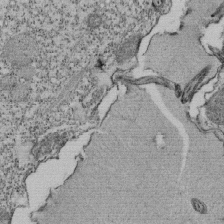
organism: Tetrahymena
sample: Cilia in tetrahymena